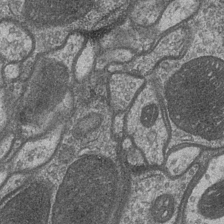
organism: Drosophila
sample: Optic medulla